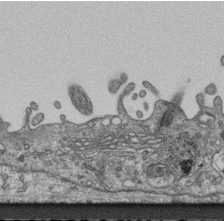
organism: Mouse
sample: Centriole in ependymal cells